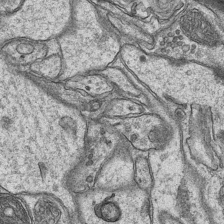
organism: Mouse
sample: CA1 Hippocampus